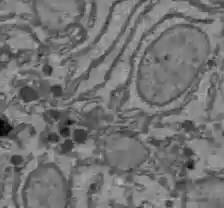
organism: C57BL Mouse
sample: Liver